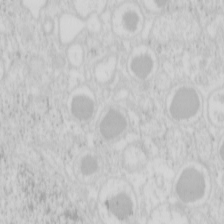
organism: Mouse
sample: Pancreas